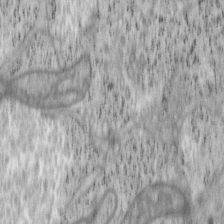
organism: Human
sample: HeLa cells